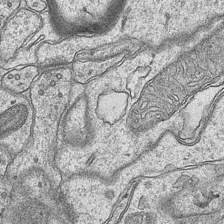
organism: Mouse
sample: CA1 Hippocampus